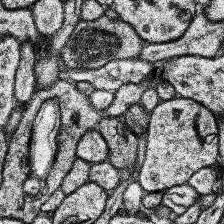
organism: Human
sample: Temporal Lobe